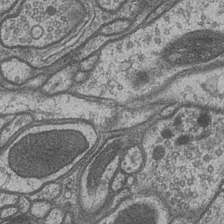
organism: Drosophila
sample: Optic medulla